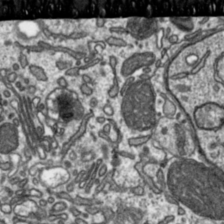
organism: Toxoplasma gondii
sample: Parasites in a vacuole inside a host cell